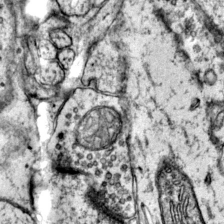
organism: Mouse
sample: Primary visual cortex